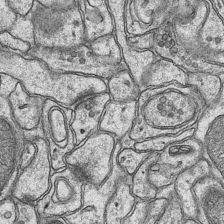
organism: Mouse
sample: CA1 Hippocampus